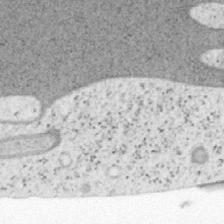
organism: Mouse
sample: OT-I killer T cells with ID8 ovarian cancer cells